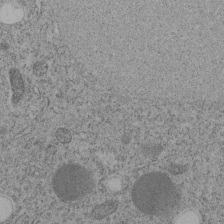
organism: C. elegans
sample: C. elegans embryo early stage